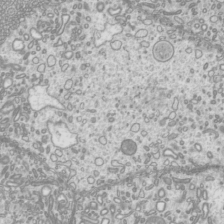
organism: Mouse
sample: Cilia; mouse epididymis